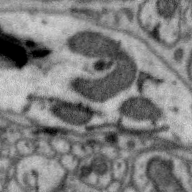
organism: Zebra finch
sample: Brain